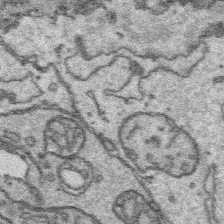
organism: Platynereis dumerilii